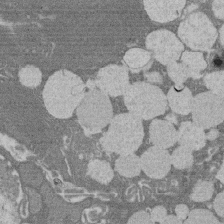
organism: Rat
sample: Salivary granule